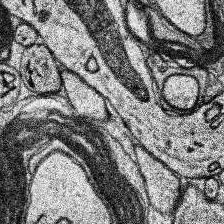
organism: Human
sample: Temporal Lobe